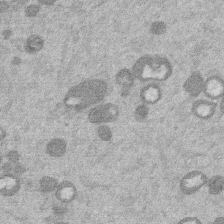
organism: Mouse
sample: Dividing mouse embryo 1 cell stage